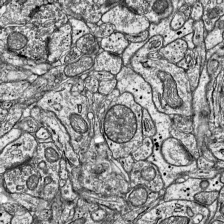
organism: Mouse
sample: Visual Cortex